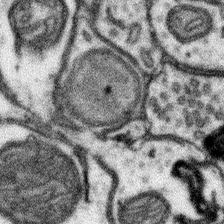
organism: Mouse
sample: Somatosensory cortex neuropil